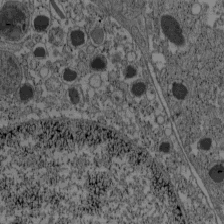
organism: C57BL Mouse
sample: Pancreatic islet